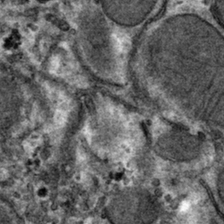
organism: Mouse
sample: Mouse hepatocytes